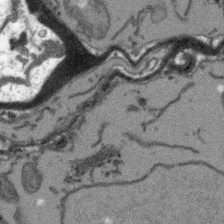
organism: Arabidopsis thaliana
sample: Root tip